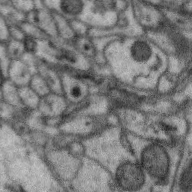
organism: Zebra finch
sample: Brain